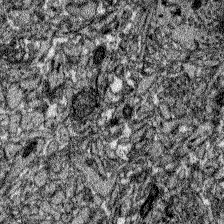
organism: Zebrafish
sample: Larval olfactory bulb